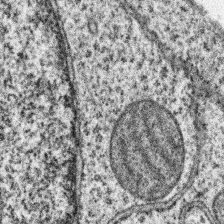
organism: Human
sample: HeLa cells